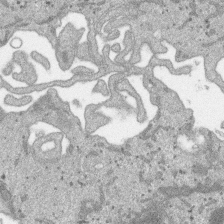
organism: Human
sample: Lung epithelial cells infected with SARS-CoV-2